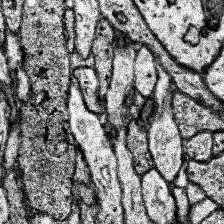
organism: Human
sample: Temporal Lobe